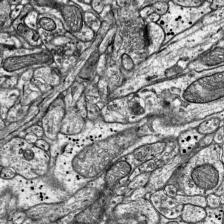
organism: Mouse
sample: Visual Cortex